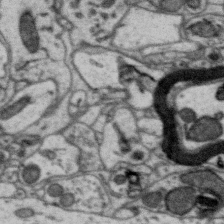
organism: Zebra finch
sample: Brain